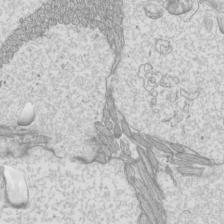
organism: Mouse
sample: Cilia; mouse epididymis